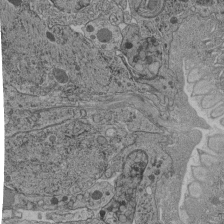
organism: C. elegans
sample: C. elegans pharynx